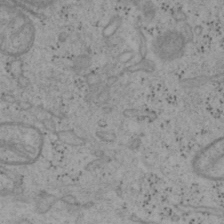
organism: Human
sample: HeLa cells